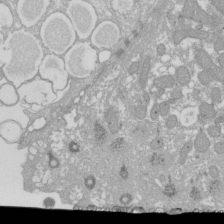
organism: Xenopus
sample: Cilia; centrioles in frog embryo cells